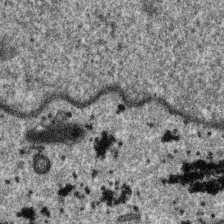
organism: Human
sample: Lung epithelial cells infected with SARS-CoV-2